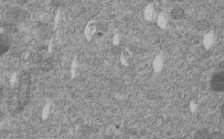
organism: C. elegans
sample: C. elegans embryo early stage